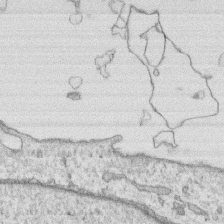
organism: Human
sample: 1205lu cells